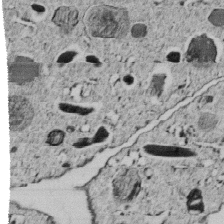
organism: C. elegans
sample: C. elegans embryo early stage